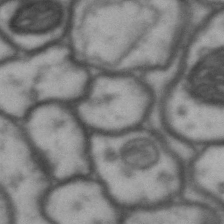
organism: Drosophila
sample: Brain